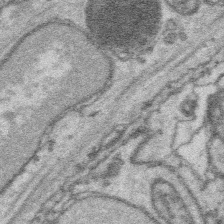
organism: Platynereis dumerilii